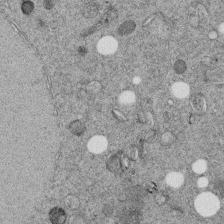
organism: C. elegans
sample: C. elegans embryo early stage